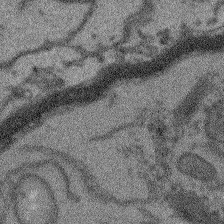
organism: Arabidopsis thaliana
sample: Root tip